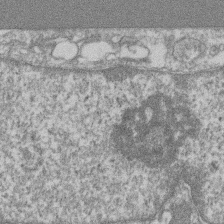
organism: Mouse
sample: T cell stromal cell synapse